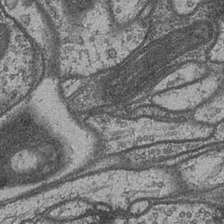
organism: Drosophila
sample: Optic medulla